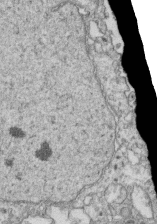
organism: Human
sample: HeLa cell HIV synapse